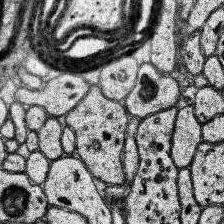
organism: Human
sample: Temporal Lobe